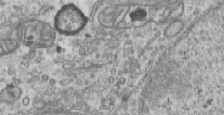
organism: Human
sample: Centriole in RPE cells